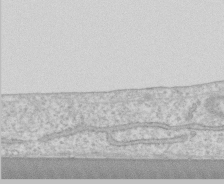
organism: Human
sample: CRL-1474